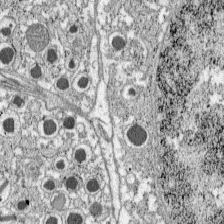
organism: C57BL Mouse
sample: Pancreatic islet